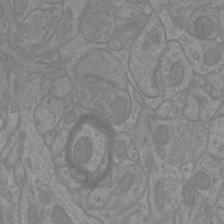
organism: Mouse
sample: Cortical neurons